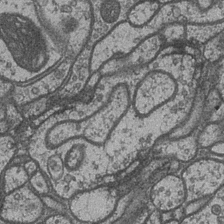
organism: Drosophila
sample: Optic medulla